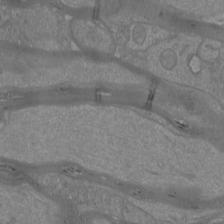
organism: Mouse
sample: Cortical neurons